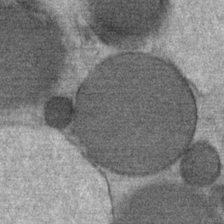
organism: Mouse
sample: Mouse Salivary gland